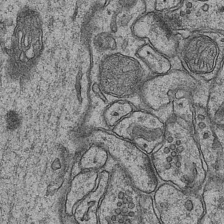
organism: Mouse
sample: CA1 Hippocampus